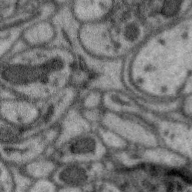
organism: Zebra finch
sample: Brain